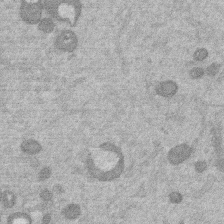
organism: Mouse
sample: Dividing mouse embryo 1 cell stage